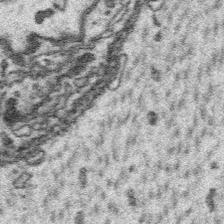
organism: Platynereis dumerilii